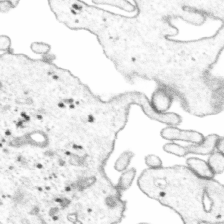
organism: Human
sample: HeLa cells